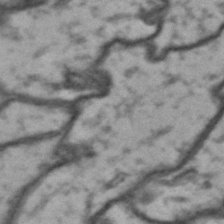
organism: Drosophila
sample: Brain